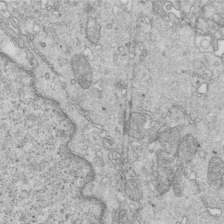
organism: Mouse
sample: Multiciliated cells